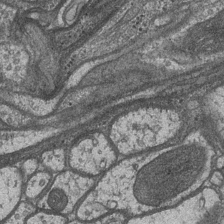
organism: Drosophila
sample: Optic medulla